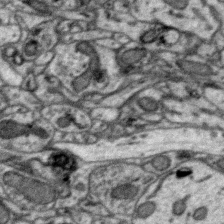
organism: Zebra finch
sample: Brain